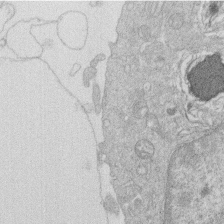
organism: Human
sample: Macrophage cells